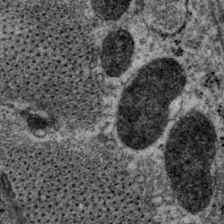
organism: P. pacificus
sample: Pharynx